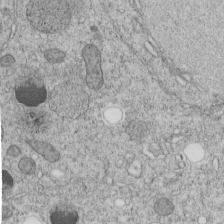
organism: C. elegans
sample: C. elegans embryo early stage